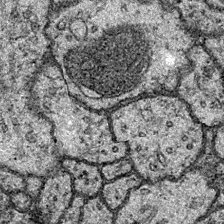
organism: Drosophila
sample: Ventral Nerve Cord